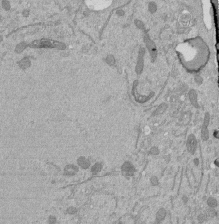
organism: Mouse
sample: ED-1 cell nuclei; centrioles